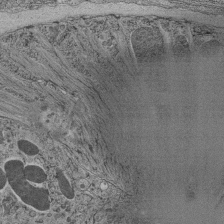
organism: C. elegans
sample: C. elegans pharynx